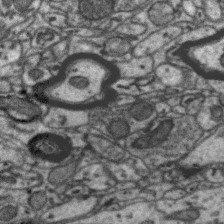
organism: Zebra finch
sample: Brain